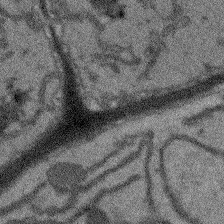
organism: Arabidopsis thaliana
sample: Root tip